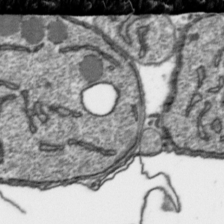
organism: Toxoplasma gondii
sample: Parasites in a vacuole inside a host cell